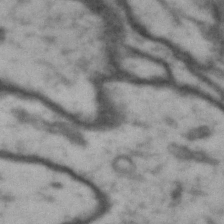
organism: Drosophila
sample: Brain